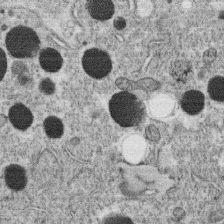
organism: C. elegans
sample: C. elegans oocyte; sperm cells